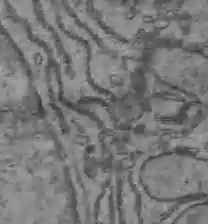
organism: C57BL Mouse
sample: Liver